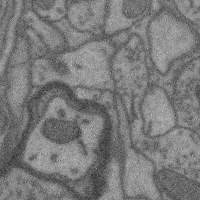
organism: Mouse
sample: Cerebral cortex